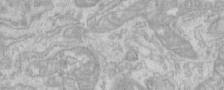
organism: Human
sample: Centriole in RPE cells